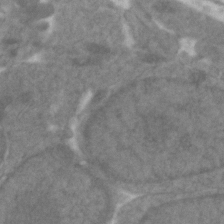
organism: Zebrafish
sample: Zebrafish embryo